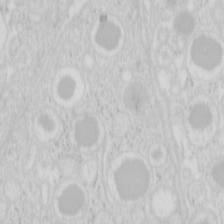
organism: Mouse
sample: Pancreas